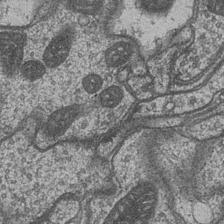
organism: Drosophila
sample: Optic medulla